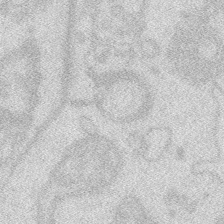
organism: Zebrafish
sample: Macrophage